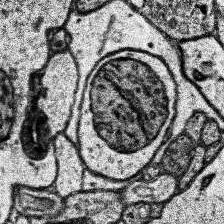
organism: Human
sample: Temporal Lobe